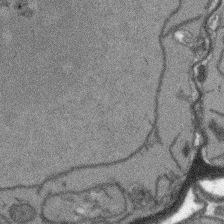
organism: Arabidopsis thaliana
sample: Root tip